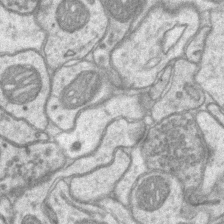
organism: Mouse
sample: CA1 Hippocampus